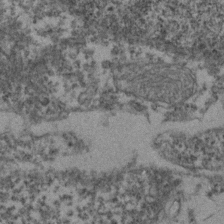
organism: Zebrafish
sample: Zebrafish embryo